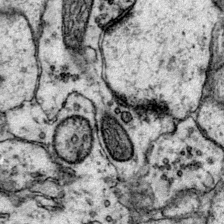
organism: Mouse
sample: Primary visual cortex